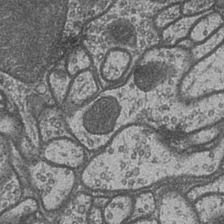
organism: Drosophila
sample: Optic medulla